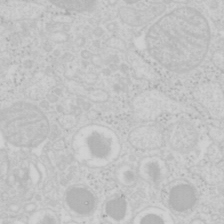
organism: Mouse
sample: Pancreas